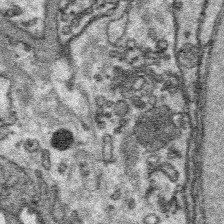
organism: Platynereis dumerilii